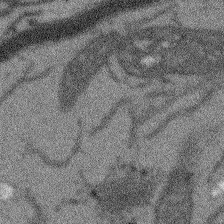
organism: Arabidopsis thaliana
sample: Root tip